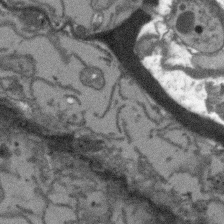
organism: Arabidopsis thaliana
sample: Root tip